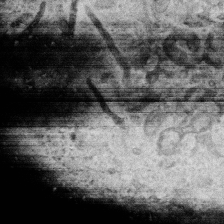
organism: Human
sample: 1205lu cells